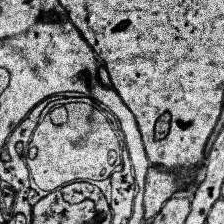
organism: Human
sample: Temporal Lobe